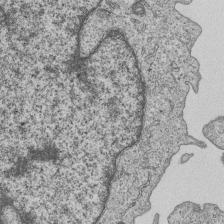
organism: Human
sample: MDA-MB-231 cells